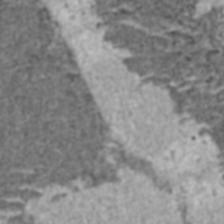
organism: C57BL Mouse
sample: Heart